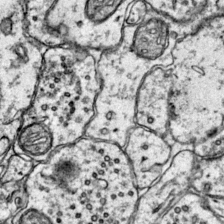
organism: Mouse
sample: Primary visual cortex